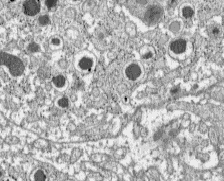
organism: C57BL Mouse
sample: Pancreatic islet